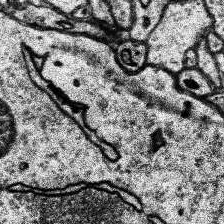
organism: Human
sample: Temporal Lobe